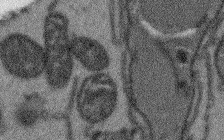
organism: Arabidopsis thaliana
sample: Root tip